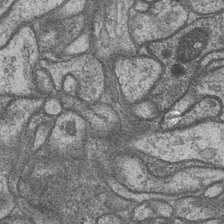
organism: Drosophila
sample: Optic medulla